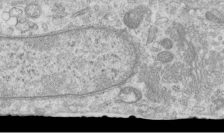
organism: Human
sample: Centriole in RPE cells